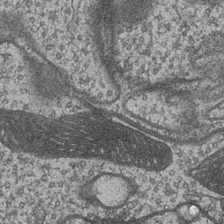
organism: Drosophila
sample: Optic medulla